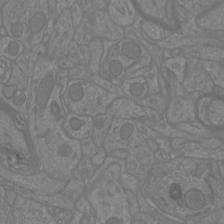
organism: Mouse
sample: Cortical neurons